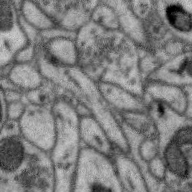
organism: Zebra finch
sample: Brain